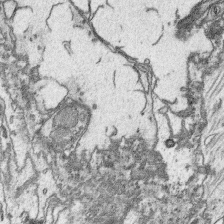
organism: Platynereis dumerilii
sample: Parapodia